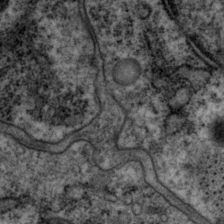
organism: P. pacificus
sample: Pharynx